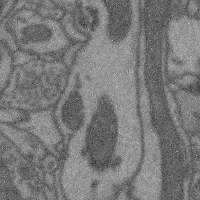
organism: Mouse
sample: Cerebral cortex